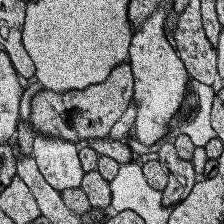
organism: Human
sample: Temporal Lobe